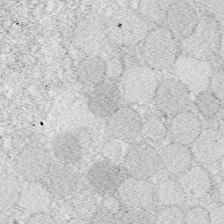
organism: Zebrafish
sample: Whole-Brain